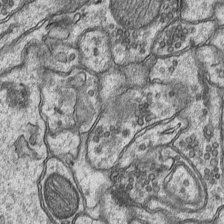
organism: Mouse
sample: CA1 Hippocampus